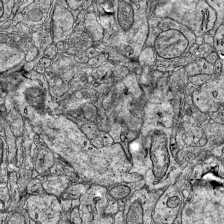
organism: Mouse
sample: Visual Cortex